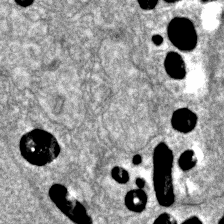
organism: Zebrafish